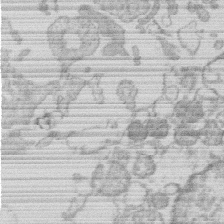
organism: Human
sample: Macrophage cells